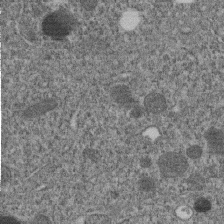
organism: C. elegans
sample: C. elegans embryo early stage